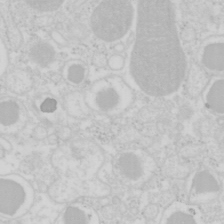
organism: Mouse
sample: Pancreas